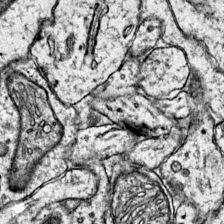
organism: Mouse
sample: Primary visual cortex